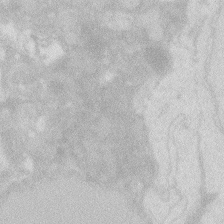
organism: Zebrafish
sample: Macrophage